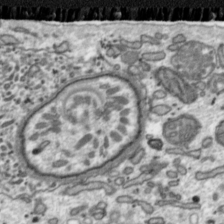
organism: Toxoplasma gondii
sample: Parasites in a vacuole inside a host cell